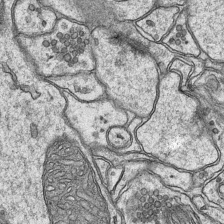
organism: Mouse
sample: CA1 Hippocampus